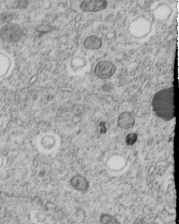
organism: C. elegans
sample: C. elegans embryo early stage